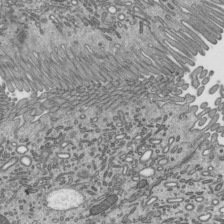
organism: Mouse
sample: Mouse epididymis efferent ductule cilia